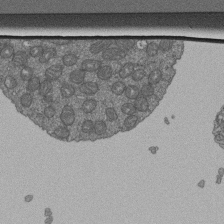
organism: Human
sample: Retinal organoid Rod and Cone cells